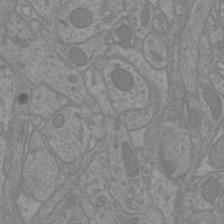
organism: Mouse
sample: Cortical neurons